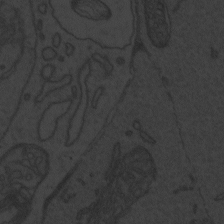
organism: Zebrafish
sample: Macrophage infected with Toxoplasma gondii